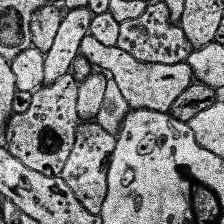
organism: Human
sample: Temporal Lobe